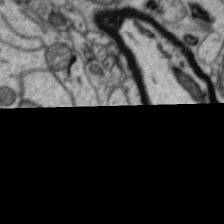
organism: Zebra finch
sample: Brain